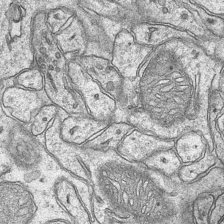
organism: Mouse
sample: CA1 Hippocampus